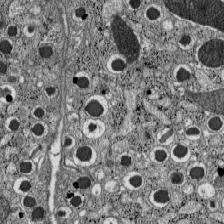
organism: C57BL Mouse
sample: Pancreatic islet